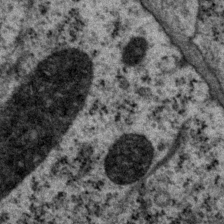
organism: P. pacificus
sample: Pharynx